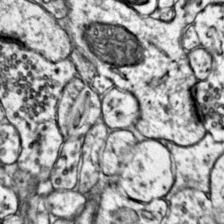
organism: Mouse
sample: Primary visual cortex